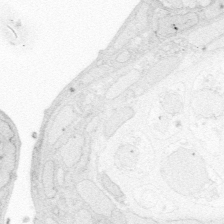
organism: Zebrafish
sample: Whole-Brain